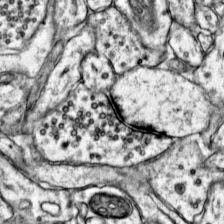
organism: Mouse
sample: Primary visual cortex